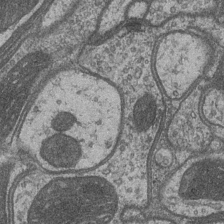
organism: Drosophila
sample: Optic medulla